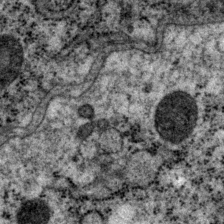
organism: P. pacificus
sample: Pharynx